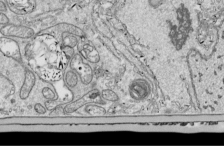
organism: Drosophila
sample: Cell division; meiosis; drosophila spermatocytes